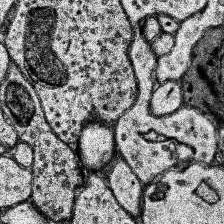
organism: Human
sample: Temporal Lobe